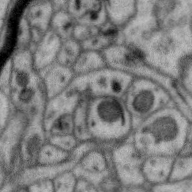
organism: Zebra finch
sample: Brain